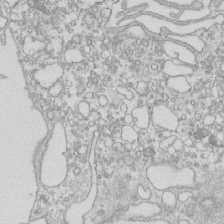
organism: Mouse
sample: Macrophages